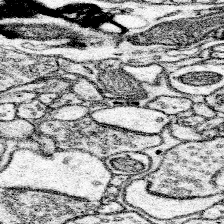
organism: Mouse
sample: Somatosensory cortex neuropil